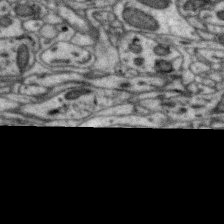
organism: Zebra finch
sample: Brain